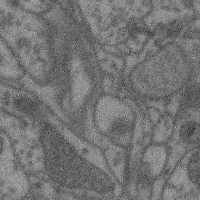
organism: Mouse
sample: Cerebral cortex